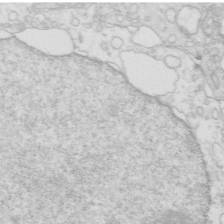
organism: Mouse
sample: Multiciliated cells